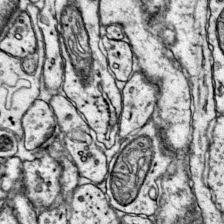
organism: Mouse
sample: Primary visual cortex